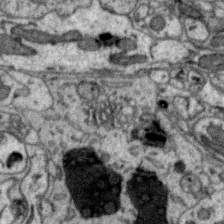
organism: Zebra finch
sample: Brain